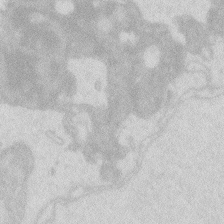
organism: Zebrafish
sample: Macrophage